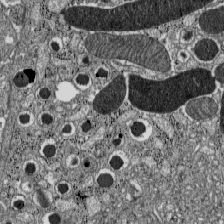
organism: C57BL Mouse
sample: Pancreatic islet